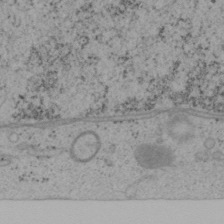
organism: Human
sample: HeLa cells